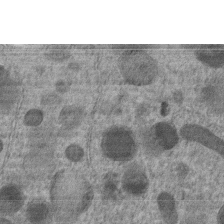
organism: C. elegans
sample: C. elegans embryo early stage